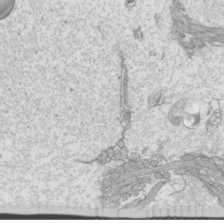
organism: Mouse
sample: Cilia; mouse epididymis